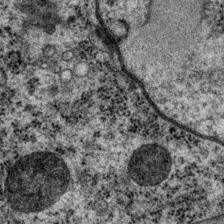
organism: P. pacificus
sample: Pharynx